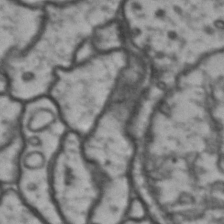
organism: Drosophila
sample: Brain